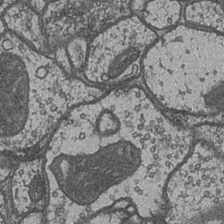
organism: Drosophila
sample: Optic medulla